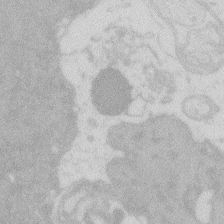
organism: Zebrafish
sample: Macrophage